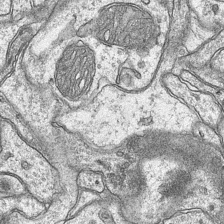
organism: Mouse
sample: CA1 Hippocampus